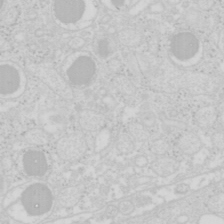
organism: Mouse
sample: Pancreas